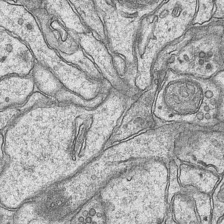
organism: Mouse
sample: CA1 Hippocampus